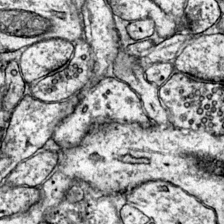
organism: Mouse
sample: Primary visual cortex